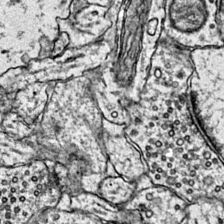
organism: Mouse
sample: Primary visual cortex